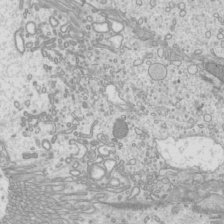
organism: Mouse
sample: Cilia; mouse epididymis